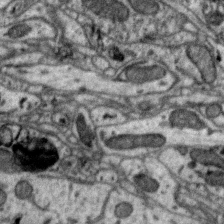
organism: Zebra finch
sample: Brain